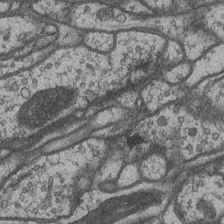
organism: Drosophila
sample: Optic medulla